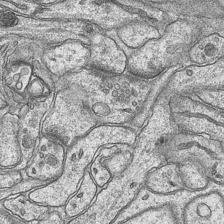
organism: Mouse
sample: CA1 Hippocampus